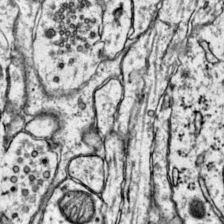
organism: Mouse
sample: Primary visual cortex